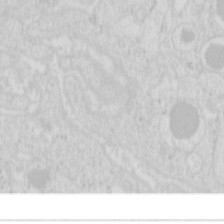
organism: Mouse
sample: Pancreas